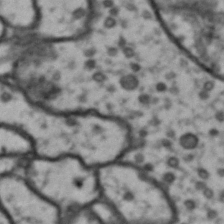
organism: Drosophila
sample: Brain